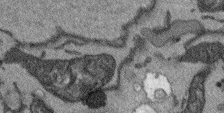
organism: Arabidopsis thaliana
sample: Root tip